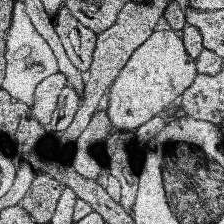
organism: Human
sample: Temporal Lobe